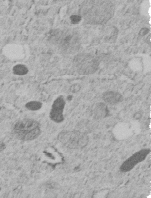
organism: C. elegans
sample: C. elegans embryo early stage